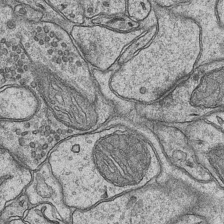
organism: Mouse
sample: CA1 Hippocampus